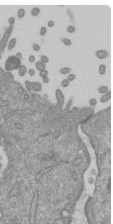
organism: Mouse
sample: ED-1 cell nuclei; centrioles